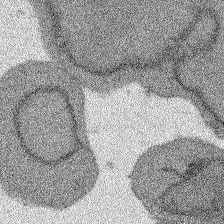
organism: Human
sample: HeLa cells